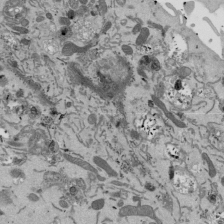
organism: Mouse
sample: ED-1 cell nuclei; centrioles